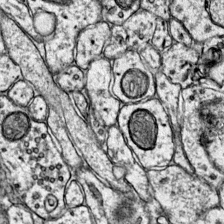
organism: Mouse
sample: Primary visual cortex